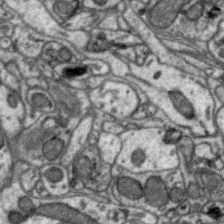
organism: Zebra finch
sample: Brain